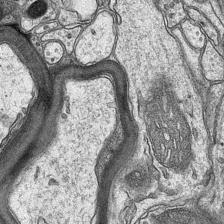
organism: Mouse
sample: CA1 Hippocampus